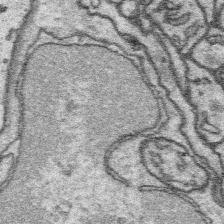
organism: Platynereis dumerilii